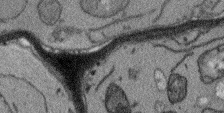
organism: Arabidopsis thaliana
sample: Root tip